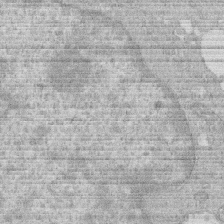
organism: Human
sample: Macrophage cells